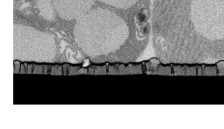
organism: Rat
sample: Salivary granule